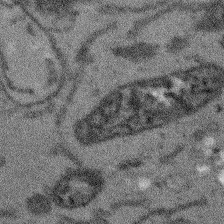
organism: Arabidopsis thaliana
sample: Root tip